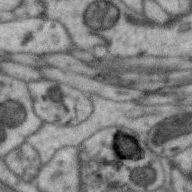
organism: Zebra finch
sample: Brain